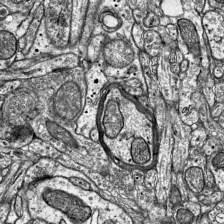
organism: Mouse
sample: Visual Cortex